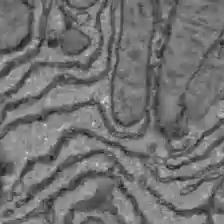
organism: C57BL Mouse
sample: Liver